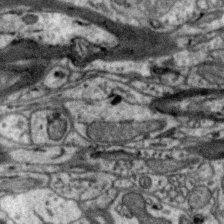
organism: Zebra finch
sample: Brain